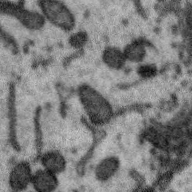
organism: Zebra finch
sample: Brain